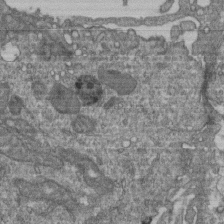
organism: Human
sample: Retinal organoid Rod and Cone cells